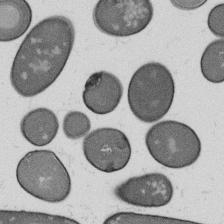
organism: B. subtilis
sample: Bacterial spore